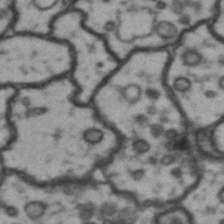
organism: Drosophila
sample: Brain